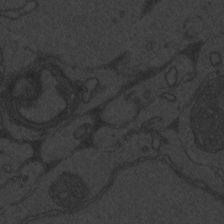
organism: Zebrafish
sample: Macrophage infected with Toxoplasma gondii